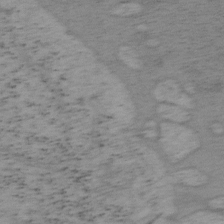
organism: Mouse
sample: OT-I killer T cells with ID8 ovarian cancer cells